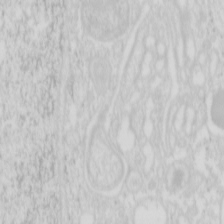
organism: Mouse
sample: Pancreas